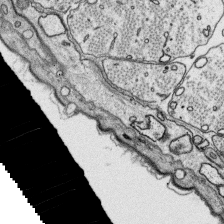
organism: Platynereis dumerilii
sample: Parapodia